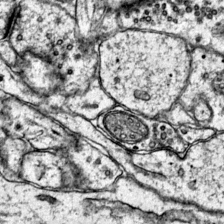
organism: Mouse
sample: Primary visual cortex